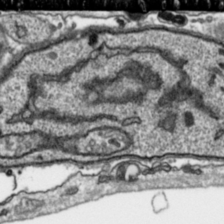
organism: Toxoplasma gondii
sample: Parasites in a vacuole inside a host cell